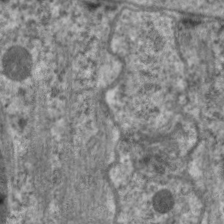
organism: C. elegans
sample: Pharynx